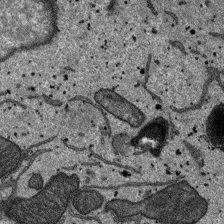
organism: Human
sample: Lung epithelial cells, uninfected (mock) control